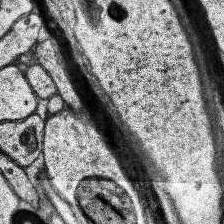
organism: Human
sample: Temporal Lobe